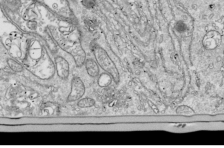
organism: Drosophila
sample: Cell division; meiosis; drosophila spermatocytes